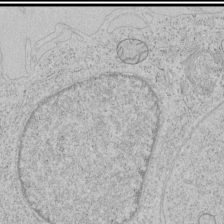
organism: Human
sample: Mitochondria in HCT116 cells